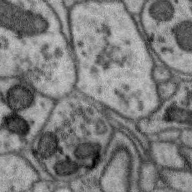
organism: Zebra finch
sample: Brain